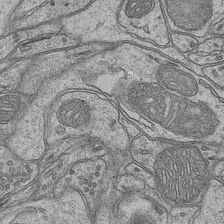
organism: Mouse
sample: CA1 Hippocampus